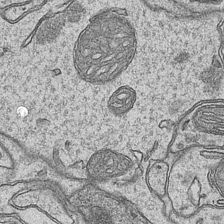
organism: Mouse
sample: CA1 Hippocampus